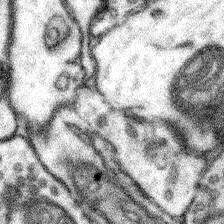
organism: Mouse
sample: Somatosensory cortex neuropil